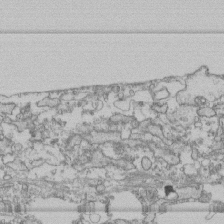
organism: Human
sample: Fibroblast cells